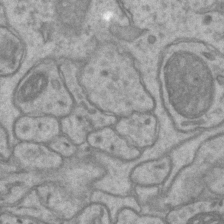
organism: Mouse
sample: CA1 Hippocampus